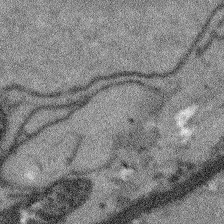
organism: Arabidopsis thaliana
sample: Root tip